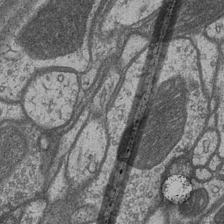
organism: Drosophila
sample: Optic medulla